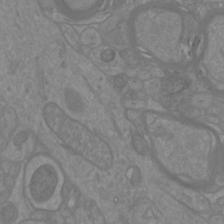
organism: Mouse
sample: Cortical neurons